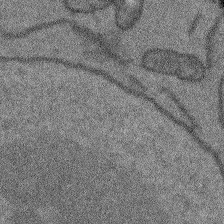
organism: Arabidopsis thaliana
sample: Root tip